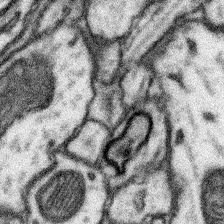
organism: Mouse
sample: Somatosensory cortex neuropil